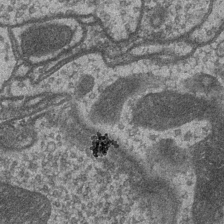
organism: Drosophila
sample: Optic medulla